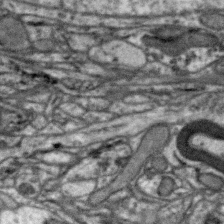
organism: Zebra finch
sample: Brain